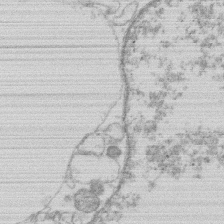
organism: Human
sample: Macrophage cells